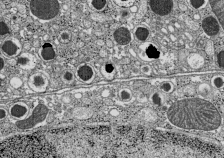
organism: C57BL Mouse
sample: Pancreatic islet